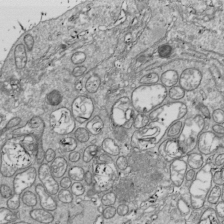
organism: Drosophila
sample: Cell division; meiosis; drosophila spermatocytes